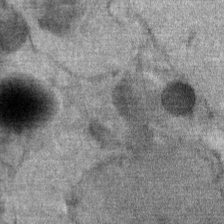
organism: Mouse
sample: Mouse Salivary gland